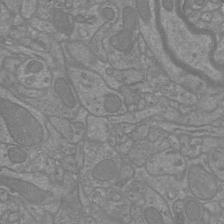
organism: Mouse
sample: Cortical neurons